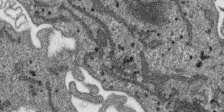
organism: Human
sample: Lung epithelial cells infected with SARS-CoV-2